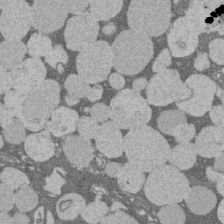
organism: Rat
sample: Salivary granule